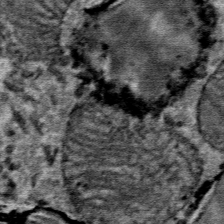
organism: Mouse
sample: Mouse Salivary gland